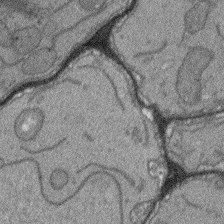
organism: Arabidopsis thaliana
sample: Root tip